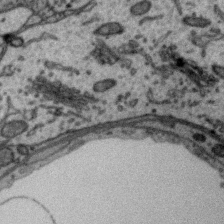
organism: Zebra finch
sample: Brain